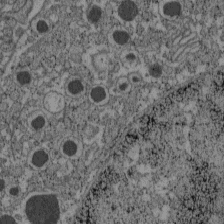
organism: C57BL Mouse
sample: Pancreatic islet